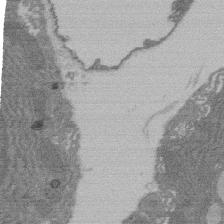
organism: Rat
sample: Salivary granule